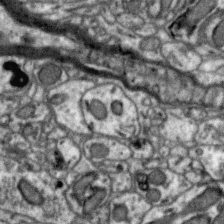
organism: Zebra finch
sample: Brain